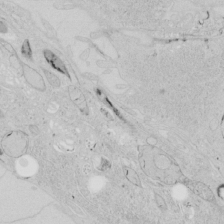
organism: Human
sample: Mitochondria in HCT116 cells